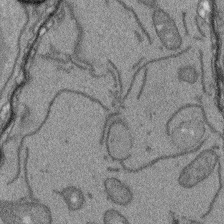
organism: Arabidopsis thaliana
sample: Root tip